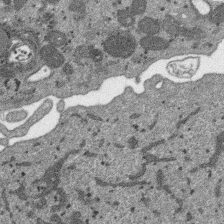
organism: Human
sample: Lung epithelial cells infected with SARS-CoV-2